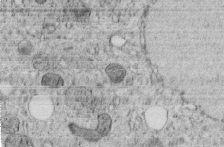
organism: C. elegans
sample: C. elegans embryo early stage